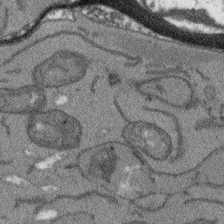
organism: Arabidopsis thaliana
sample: Root tip